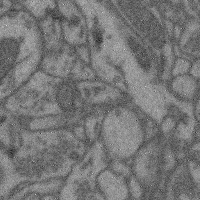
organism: Mouse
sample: Cerebral cortex